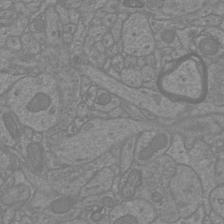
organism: Mouse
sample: Cortical neurons